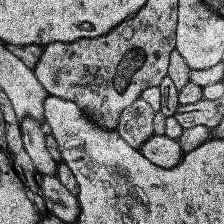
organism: Human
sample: Temporal Lobe